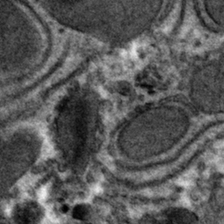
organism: Mouse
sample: Mouse hepatocytes